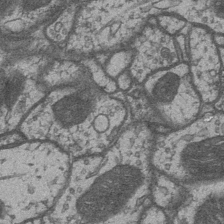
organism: Drosophila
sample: Optic medulla